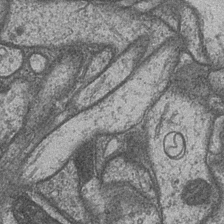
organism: Drosophila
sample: Optic medulla